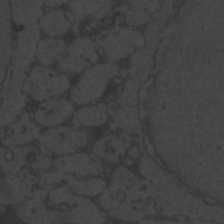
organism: Zebrafish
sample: Macrophage infected with Toxoplasma gondii